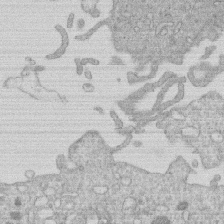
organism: Human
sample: Macrophage cells